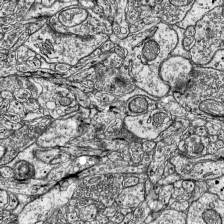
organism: Mouse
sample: Visual Cortex